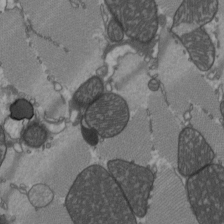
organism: C57BL Mouse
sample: Heart